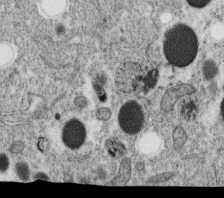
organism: C. elegans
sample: C. elegans oocyte; sperm cells